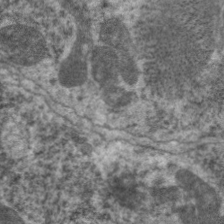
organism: C. elegans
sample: Pharynx